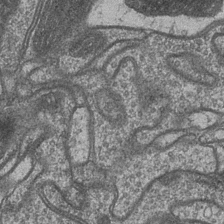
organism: Drosophila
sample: Optic medulla